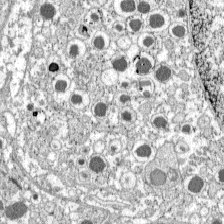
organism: C57BL Mouse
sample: Pancreatic islet